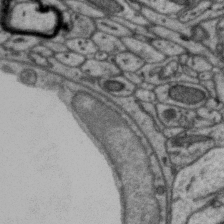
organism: Zebra finch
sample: Brain